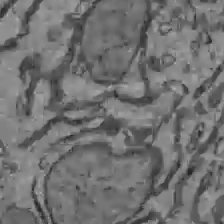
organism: C57BL Mouse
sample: Liver